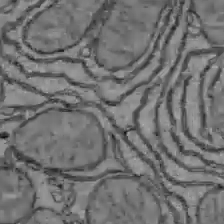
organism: C57BL Mouse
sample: Liver